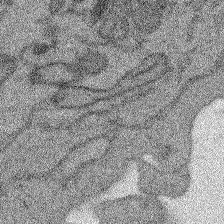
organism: Human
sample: HeLa cells